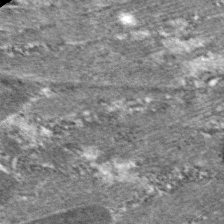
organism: C. elegans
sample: Pharynx